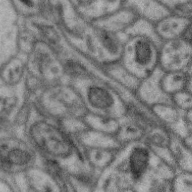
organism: Zebra finch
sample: Brain